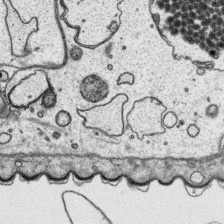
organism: Platynereis dumerilii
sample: Parapodia